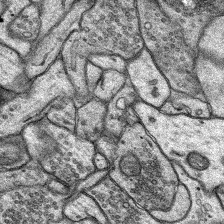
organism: Rat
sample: Hippocampus